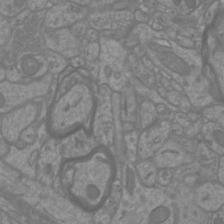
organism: Mouse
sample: Cortical neurons